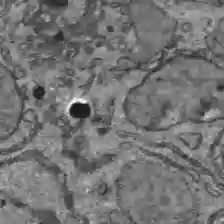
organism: C57BL Mouse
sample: Liver